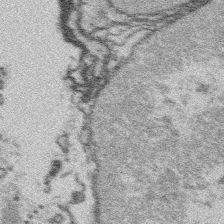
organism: Platynereis dumerilii